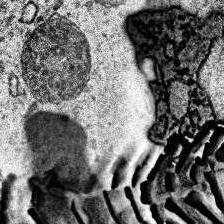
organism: Human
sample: Temporal Lobe